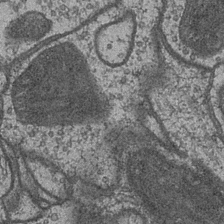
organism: Drosophila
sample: Optic medulla